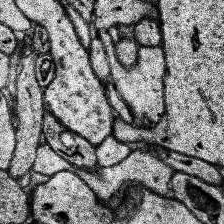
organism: Human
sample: Temporal Lobe